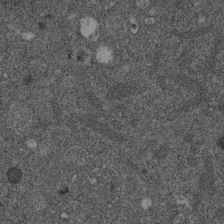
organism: Mouse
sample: Dividing mouse embryo 1 cell stage